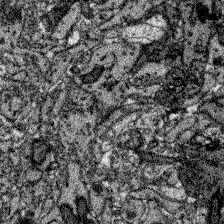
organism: Zebrafish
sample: Larval olfactory bulb